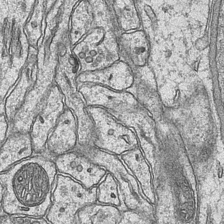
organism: Mouse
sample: CA1 Hippocampus